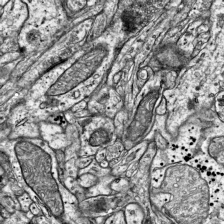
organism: Mouse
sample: Visual Cortex